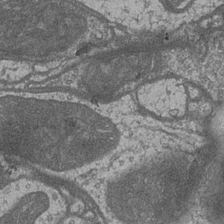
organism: Drosophila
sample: Optic medulla